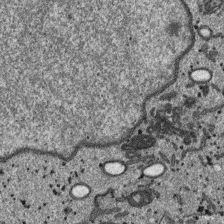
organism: Human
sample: Lung epithelial cells infected with SARS-CoV-2